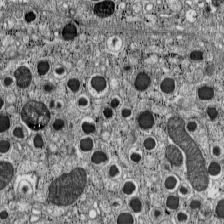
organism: C57BL Mouse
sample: Pancreatic islet